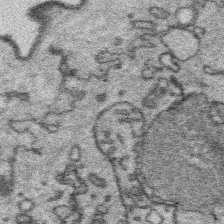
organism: Platynereis dumerilii